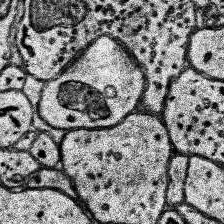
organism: Human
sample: Temporal Lobe